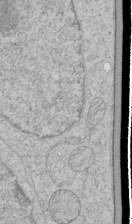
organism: Human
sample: Mitochondria in HCT116 cells